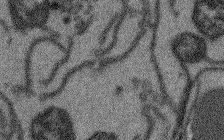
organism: Arabidopsis thaliana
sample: Root tip